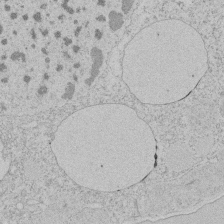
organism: Tetrahymena